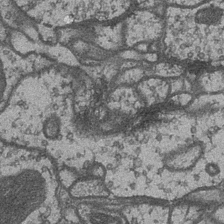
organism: Drosophila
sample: Optic medulla